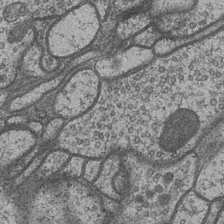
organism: Drosophila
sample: Optic medulla